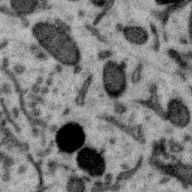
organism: Zebra finch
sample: Brain